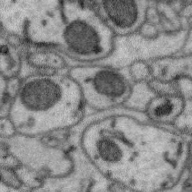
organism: Zebra finch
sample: Brain